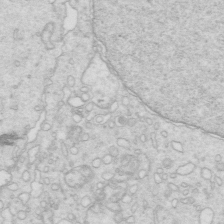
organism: Mouse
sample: Multiciliated cells